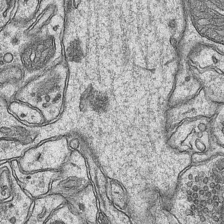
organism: Mouse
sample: CA1 Hippocampus